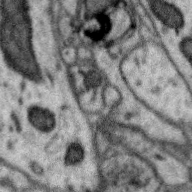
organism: Zebra finch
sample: Brain